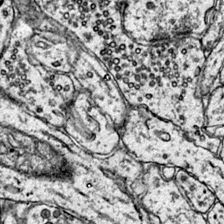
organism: Mouse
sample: Primary visual cortex